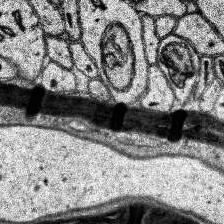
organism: Human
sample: Temporal Lobe